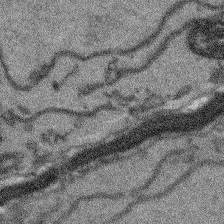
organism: Arabidopsis thaliana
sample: Root tip